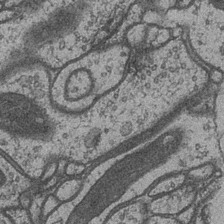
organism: Drosophila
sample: Optic medulla